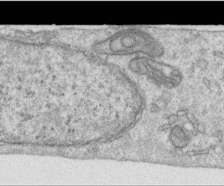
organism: Human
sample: Centriole in RPE cells